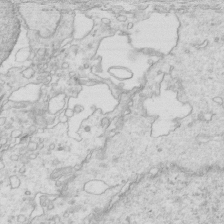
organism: Mouse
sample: Multiciliated cells